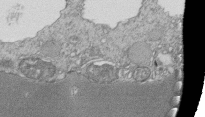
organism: Tetrahymena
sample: Cilia in tetrahymena